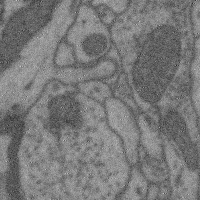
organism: Mouse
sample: Cerebral cortex